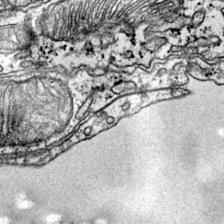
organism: Mouse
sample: Primary visual cortex